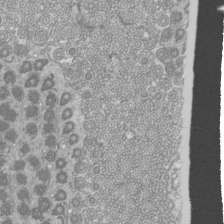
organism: Mouse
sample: Cilia; mouse epididymis